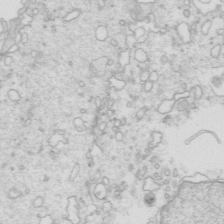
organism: Mouse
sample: Multiciliated cells